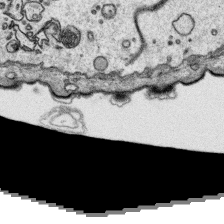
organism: Platynereis dumerilii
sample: Parapodia